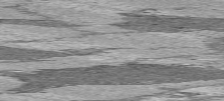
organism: C57BL Mouse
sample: Heart